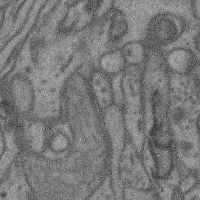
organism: Mouse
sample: Cerebral cortex